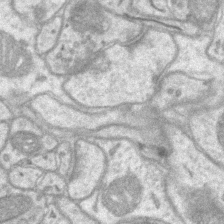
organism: Mouse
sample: CA1 Hippocampus